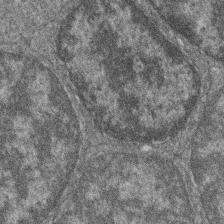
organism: Zebrafish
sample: Cilia; retinal pigment epithelium